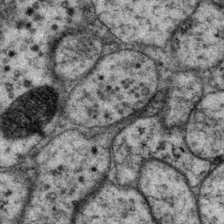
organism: P. pacificus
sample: Pharynx